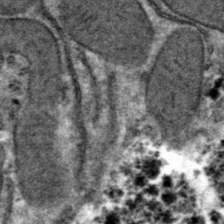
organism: Mouse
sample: Mouse hepatocytes